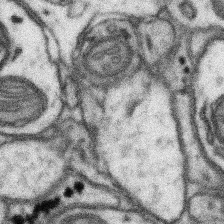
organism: Mouse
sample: Somatosensory cortex neuropil